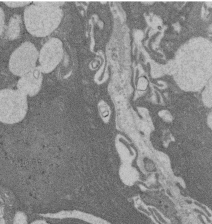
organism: Rat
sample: Salivary granule